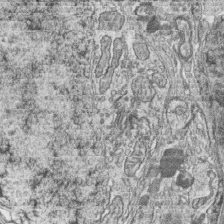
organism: Zebrafish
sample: synaptic ribbons in rod cells and cone cells